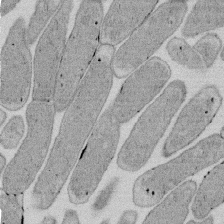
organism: E. coli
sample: Bacterial nucleoid